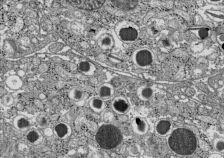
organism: C57BL Mouse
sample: Pancreatic islet